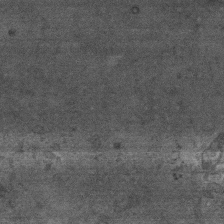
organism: Mouse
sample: Centriole in ependymal cells